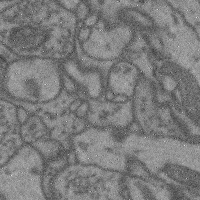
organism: Mouse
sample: Cerebral cortex